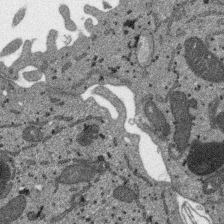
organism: Human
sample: Lung epithelial cells infected with SARS-CoV-2